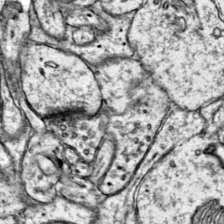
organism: Mouse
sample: Primary visual cortex